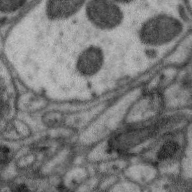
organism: Zebra finch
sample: Brain